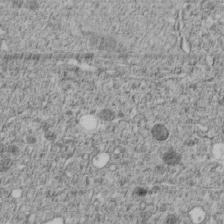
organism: C. elegans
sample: C. elegans embryo early stage